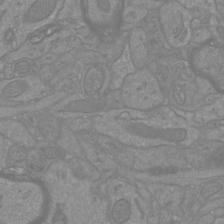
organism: Mouse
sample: Cortical neurons